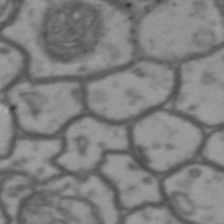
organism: Drosophila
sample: Brain